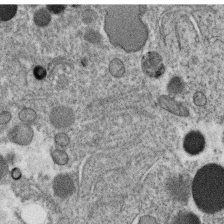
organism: C. elegans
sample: C. elegans oocyte; sperm cells